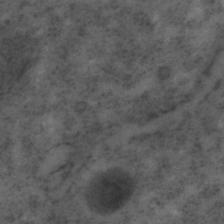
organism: C. elegans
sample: C. elegans embryo